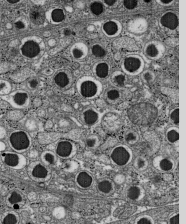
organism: C57BL Mouse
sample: Pancreatic islet